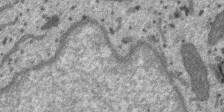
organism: Human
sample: Lung epithelial cells infected with SARS-CoV-2